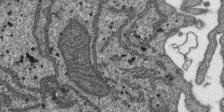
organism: Human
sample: Lung epithelial cells infected with SARS-CoV-2